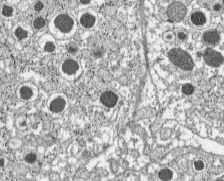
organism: C57BL Mouse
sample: Pancreatic islet